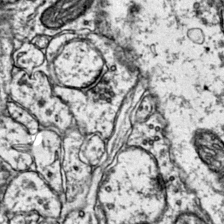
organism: Mouse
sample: Primary visual cortex